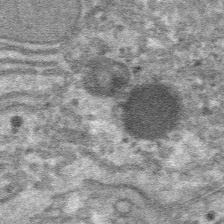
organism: Mouse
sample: Mouse hepatocytes